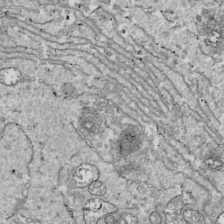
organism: Drosophila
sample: Cell division; meiosis; drosophila spermatocytes